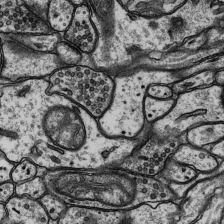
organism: Rat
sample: Hippocampus